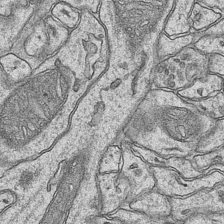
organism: Mouse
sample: CA1 Hippocampus